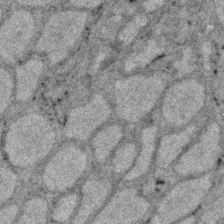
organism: Zebrafish